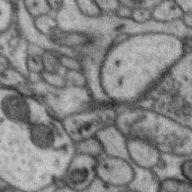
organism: Zebra finch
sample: Brain